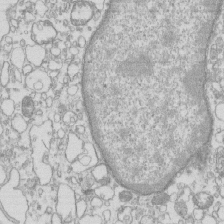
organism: Mouse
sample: Macrophages